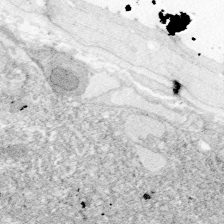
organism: Zebrafish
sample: Whole-Brain